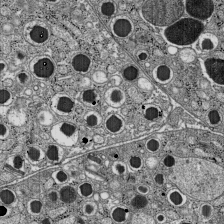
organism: C57BL Mouse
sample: Pancreatic islet